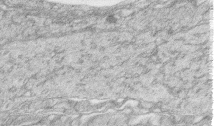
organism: Zebrafish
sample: synaptic ribbons in rod cells and cone cells